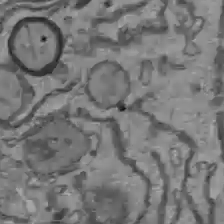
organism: C57BL Mouse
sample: Liver